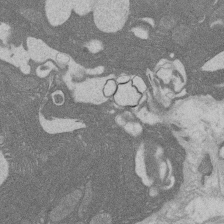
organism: Rat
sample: Salivary granule